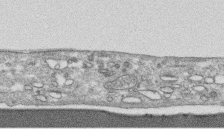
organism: Human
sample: CRL-1474